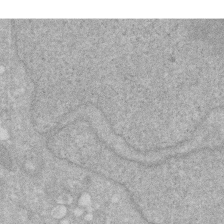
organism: Human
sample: HIV infected U937 cells